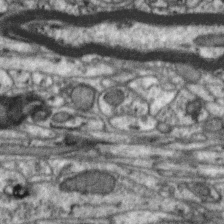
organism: Zebra finch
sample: Brain